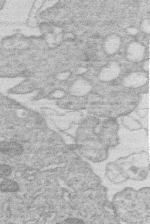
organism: Human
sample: Macrophage cells